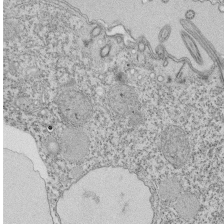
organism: Tetrahymena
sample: Cilia in tetrahymena